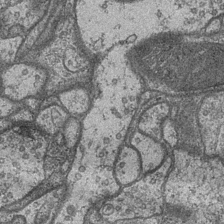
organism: Drosophila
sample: Optic medulla